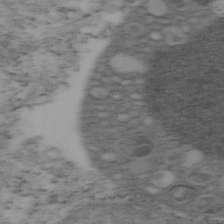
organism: Mouse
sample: OT-I killer T cells with ID8 ovarian cancer cells